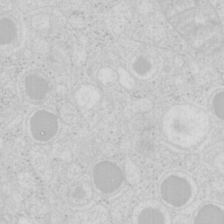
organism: Mouse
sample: Pancreas